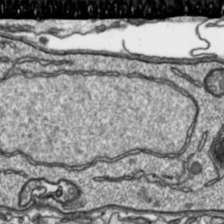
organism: Toxoplasma gondii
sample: Parasites in a vacuole inside a host cell